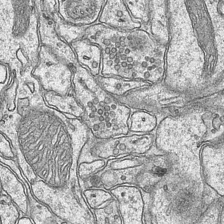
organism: Mouse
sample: CA1 Hippocampus